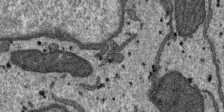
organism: Human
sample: Lung epithelial cells, uninfected (mock) control